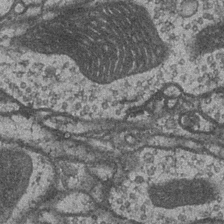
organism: Drosophila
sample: Optic medulla